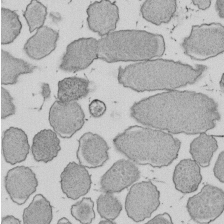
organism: E. coli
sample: Bacterial nucleoid